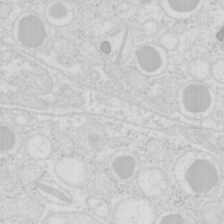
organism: Mouse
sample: Pancreas